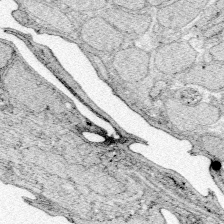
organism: Zebrafish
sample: Whole-Brain